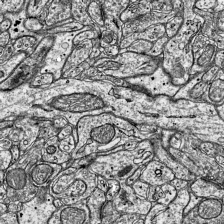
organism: Mouse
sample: Visual Cortex